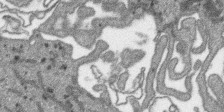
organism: Human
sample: Lung epithelial cells infected with SARS-CoV-2